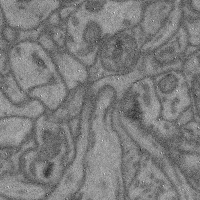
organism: Mouse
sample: Cerebral cortex